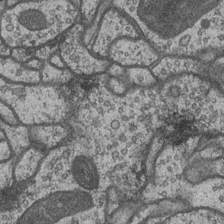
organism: Drosophila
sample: Optic medulla